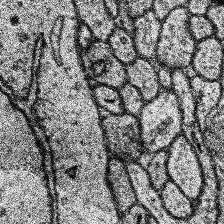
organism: Human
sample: Temporal Lobe